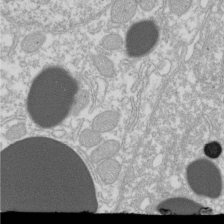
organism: Xenopus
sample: Cilia; centrioles in frog embryo cells